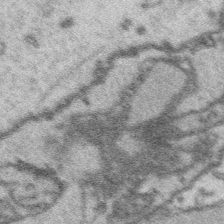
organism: Platynereis dumerilii